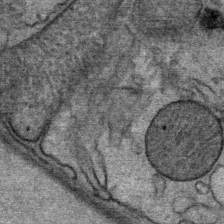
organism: Mouse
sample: Mouse Salivary gland